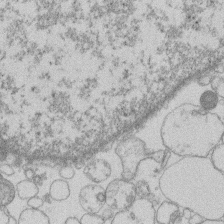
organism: Human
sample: Macrophage cells